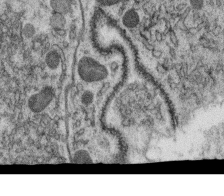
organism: C. elegans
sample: C. elegans oocyte; sperm cells